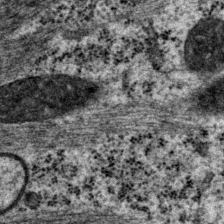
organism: P. pacificus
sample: Pharynx